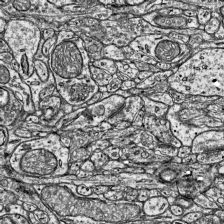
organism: Mouse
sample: Visual Cortex